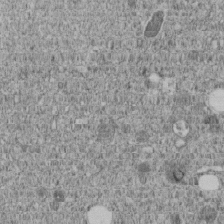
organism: C. elegans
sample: C. elegans embryo early stage